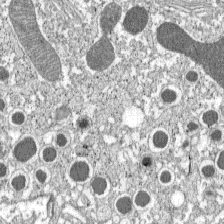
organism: C57BL Mouse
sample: Pancreatic islet